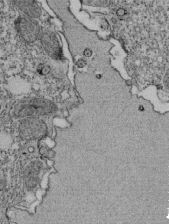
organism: Tetrahymena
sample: Cilia in tetrahymena